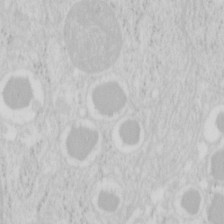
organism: Mouse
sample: Pancreas